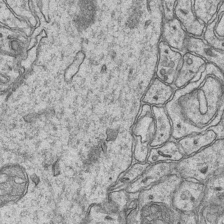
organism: Mouse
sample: CA1 Hippocampus